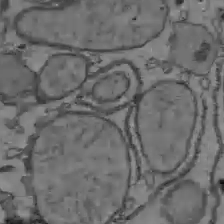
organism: C57BL Mouse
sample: Liver